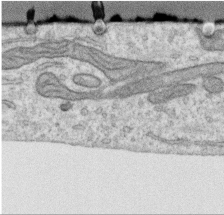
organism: Human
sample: Centriole in RPE cells